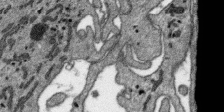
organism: Human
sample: Lung epithelial cells, uninfected (mock) control